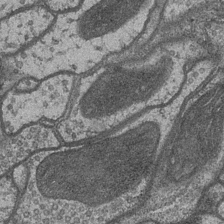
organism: Drosophila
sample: Optic medulla